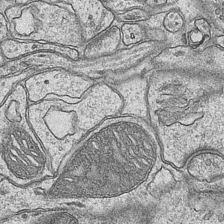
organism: Mouse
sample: CA1 Hippocampus